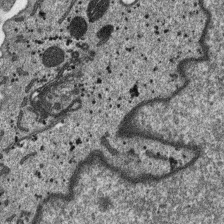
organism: Human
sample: Lung epithelial cells infected with SARS-CoV-2